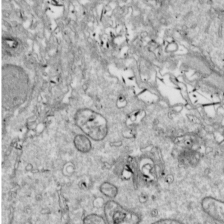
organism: Drosophila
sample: Cell division; meiosis; drosophila spermatocytes